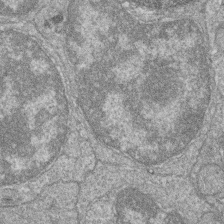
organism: Zebrafish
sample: Cilia; retinal pigment epithelium